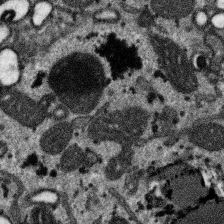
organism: Human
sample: Lung epithelial cells infected with SARS-CoV-2